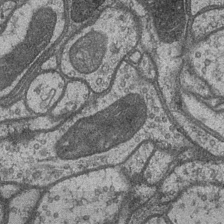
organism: Drosophila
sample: Optic medulla